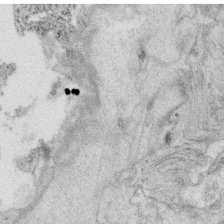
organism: C. elegans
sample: C. elegans oocyte; sperm cells